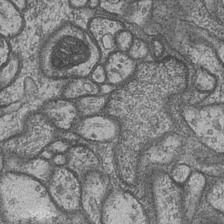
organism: Drosophila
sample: Optic medulla